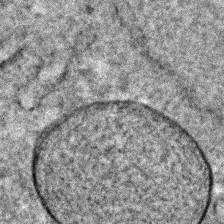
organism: C. elegans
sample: C. elegans embryo